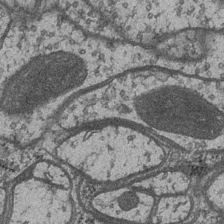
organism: Drosophila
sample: Optic medulla